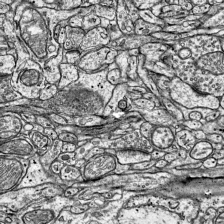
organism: Mouse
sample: Visual Cortex